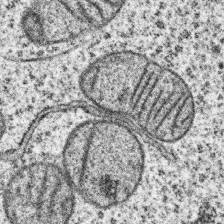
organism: Human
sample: HeLa cells